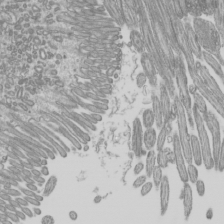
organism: Mouse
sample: Cilia; mouse epididymis